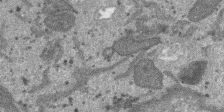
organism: Human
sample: Lung epithelial cells infected with SARS-CoV-2